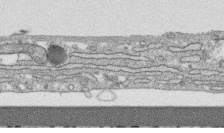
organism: Human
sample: CRL-1474